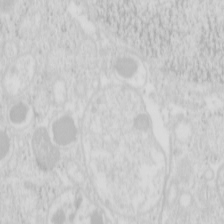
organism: Mouse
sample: Pancreas